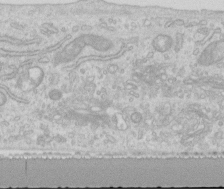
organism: Human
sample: Centriole in RPE cells